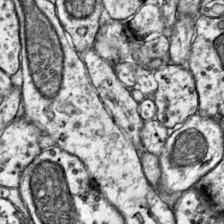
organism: Mouse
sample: Primary visual cortex